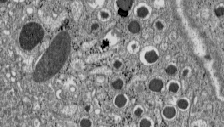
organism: C57BL Mouse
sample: Pancreatic islet